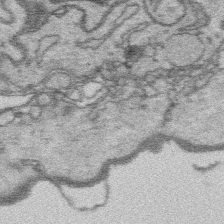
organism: Platynereis dumerilii